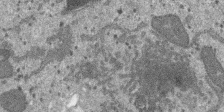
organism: Human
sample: Lung epithelial cells infected with SARS-CoV-2